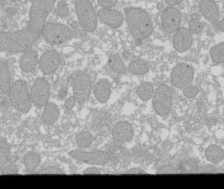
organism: Xenopus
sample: Cilia; centrioles in frog embryo cells